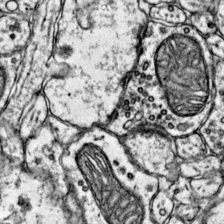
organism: Mouse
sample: Primary visual cortex